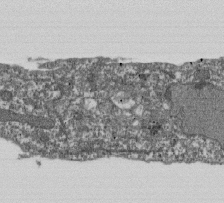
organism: Dictyostelium discoideum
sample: Dictyostelium multivesicular bodies